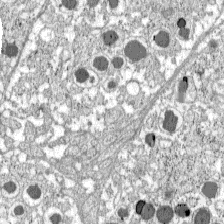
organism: C57BL Mouse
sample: Pancreatic islet